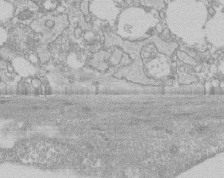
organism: Human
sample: CRL-1474